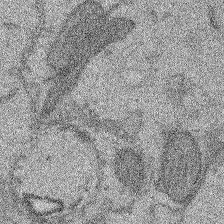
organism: Human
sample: HeLa cells